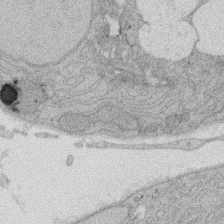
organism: Rat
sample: Salivary granule